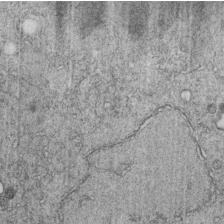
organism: C. elegans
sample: C. elegans embryo early stage